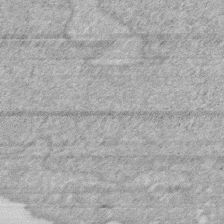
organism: Human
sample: HIV infected U937 cells